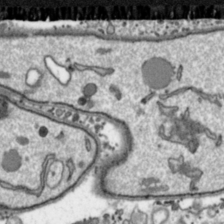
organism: Toxoplasma gondii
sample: Parasites in a vacuole inside a host cell